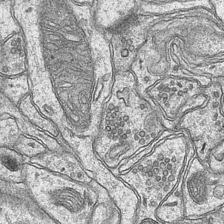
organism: Mouse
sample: CA1 Hippocampus